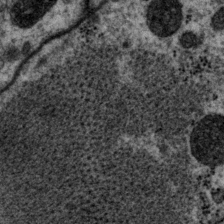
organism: P. pacificus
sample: Pharynx